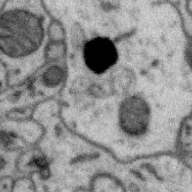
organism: Zebra finch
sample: Brain